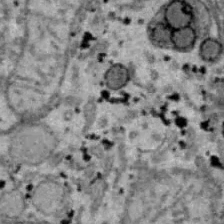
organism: Mouse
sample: Liver from an obese (ob/ob) mouse